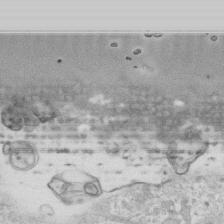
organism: Human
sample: Fibroblast cells